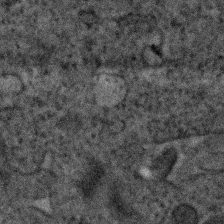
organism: Human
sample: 1205lu cells